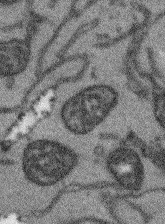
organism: Arabidopsis thaliana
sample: Root tip